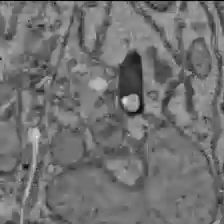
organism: C57BL Mouse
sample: Liver